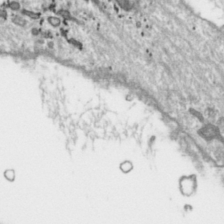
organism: Toxoplasma gondii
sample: Parasites in a vacuole inside a host cell